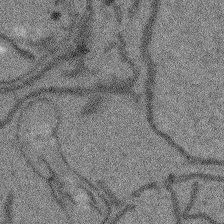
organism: Arabidopsis thaliana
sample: Root tip